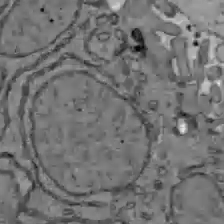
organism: C57BL Mouse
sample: Liver